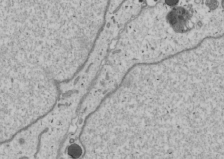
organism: Human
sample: Mitochondria in U2OS cells